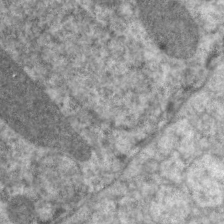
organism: C. elegans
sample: Pharynx